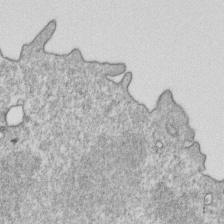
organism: Mouse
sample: Activated OT-1 CD8+ T cells